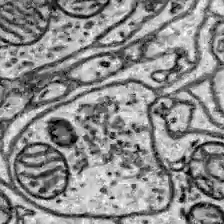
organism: Zebrafish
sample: Brain